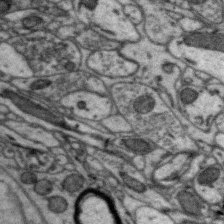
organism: Zebra finch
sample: Brain